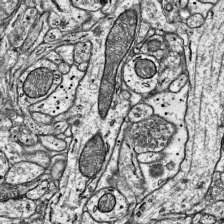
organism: Mouse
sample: Visual Cortex